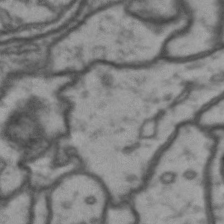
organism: Drosophila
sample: Brain